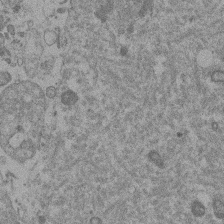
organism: Mouse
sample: Dividing mouse embryo 1 cell stage